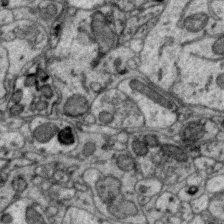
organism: Zebra finch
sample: Brain